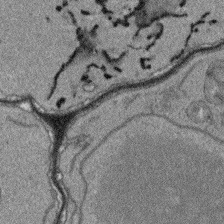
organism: Arabidopsis thaliana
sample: Root tip